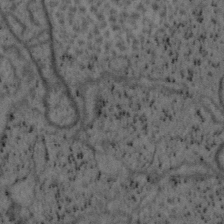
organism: Human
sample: HeLa cells